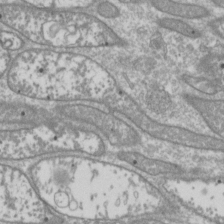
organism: Drosophila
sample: Cell division; meiosis; drosophila spermatocytes